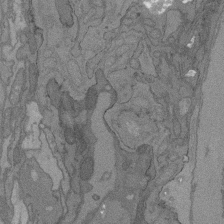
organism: C. elegans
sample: AFD neurons C. elegans